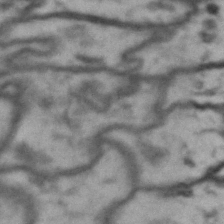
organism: Drosophila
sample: Brain